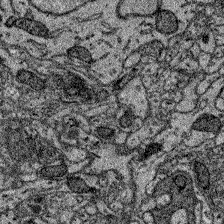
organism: Zebrafish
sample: Larval olfactory bulb